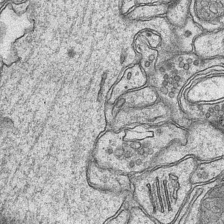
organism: Mouse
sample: CA1 Hippocampus